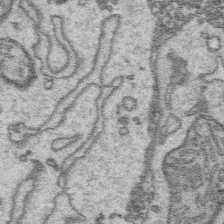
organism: Platynereis dumerilii